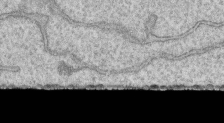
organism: Human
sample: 1205lu cells